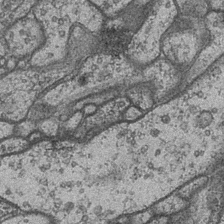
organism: Drosophila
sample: Optic medulla